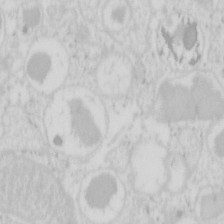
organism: Mouse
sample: Pancreas